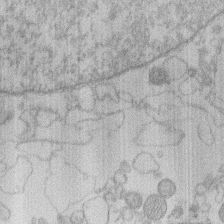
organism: Human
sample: Macrophage cells